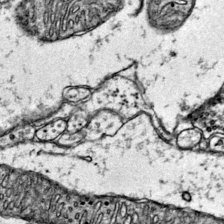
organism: Mouse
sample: Primary visual cortex